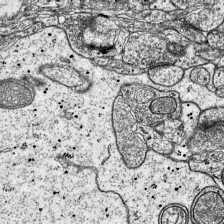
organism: Mouse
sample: Visual Cortex